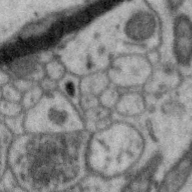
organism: Zebra finch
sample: Brain